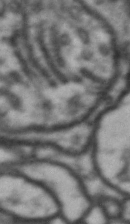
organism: Drosophila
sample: Brain